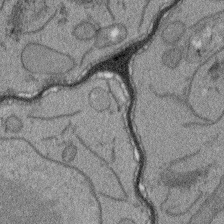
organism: Arabidopsis thaliana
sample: Root tip